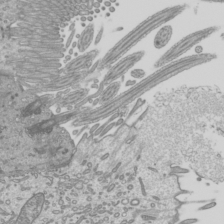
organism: Mouse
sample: Cilia; mouse epididymis